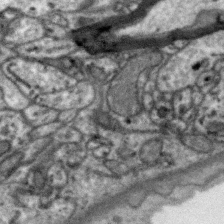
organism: Zebra finch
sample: Brain